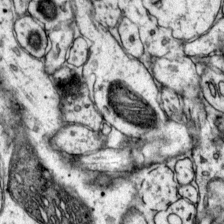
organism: Mouse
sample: Primary visual cortex